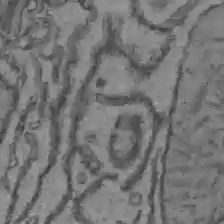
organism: C57BL Mouse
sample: Liver